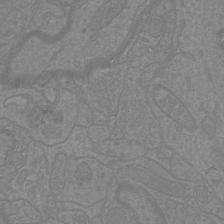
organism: Mouse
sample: Cortical neurons